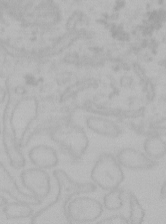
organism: Mouse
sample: Choroid plexus